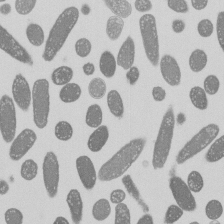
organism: E. coli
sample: Bacterial nucleoid